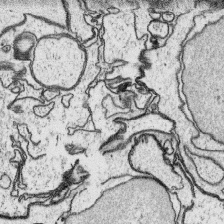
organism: Platynereis dumerilii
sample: Parapodia